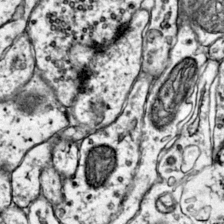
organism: Mouse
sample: Primary visual cortex